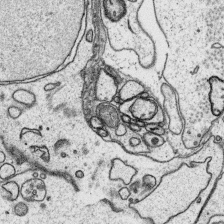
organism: Platynereis dumerilii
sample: Parapodia